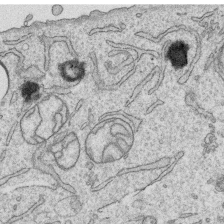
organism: Human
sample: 1205lu cells